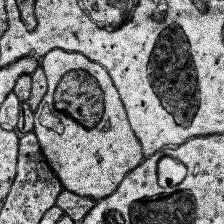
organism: Human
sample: Temporal Lobe